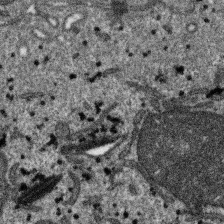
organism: Human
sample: Lung epithelial cells infected with SARS-CoV-2